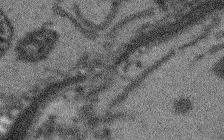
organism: Arabidopsis thaliana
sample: Root tip